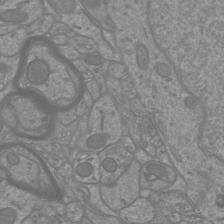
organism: Mouse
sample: Cortical neurons